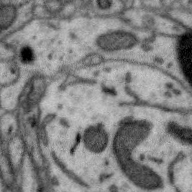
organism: Zebra finch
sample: Brain